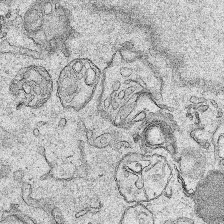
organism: Human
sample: Mitochondria in HCT116 cells